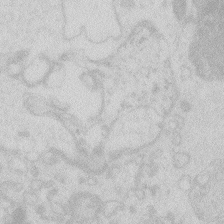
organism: Zebrafish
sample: Macrophage